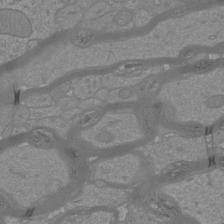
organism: Mouse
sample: Cortical neurons